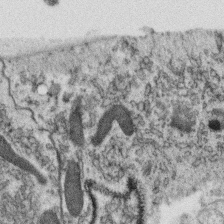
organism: C. elegans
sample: C. elegans oocyte; sperm cells